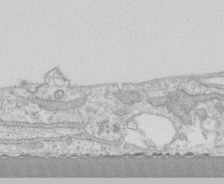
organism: Human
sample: CRL-1474